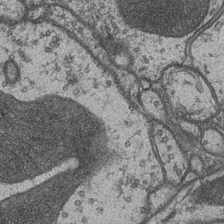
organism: Drosophila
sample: Optic medulla